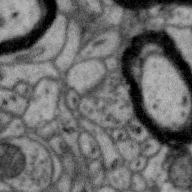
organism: Zebra finch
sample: Brain